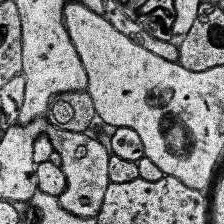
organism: Human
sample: Temporal Lobe